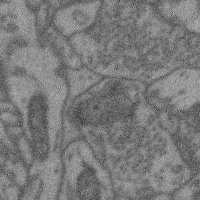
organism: Mouse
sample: Cerebral cortex